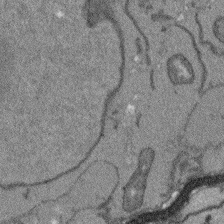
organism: Arabidopsis thaliana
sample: Root tip